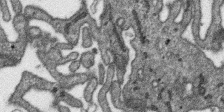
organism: Human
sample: Lung epithelial cells infected with SARS-CoV-2